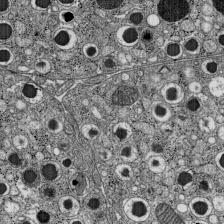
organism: C57BL Mouse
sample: Pancreatic islet